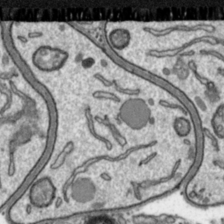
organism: Toxoplasma gondii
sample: Parasites in a vacuole inside a host cell